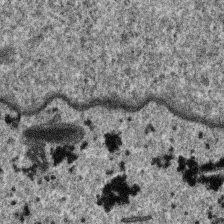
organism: Human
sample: Lung epithelial cells infected with SARS-CoV-2